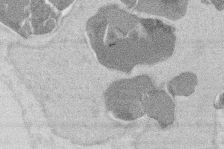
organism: Mouse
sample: T cell stromal cell synapse